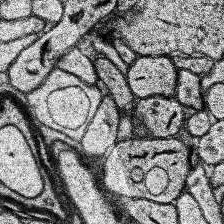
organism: Human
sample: Temporal Lobe